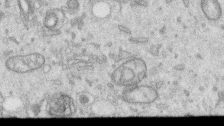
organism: Human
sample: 1205lu cells